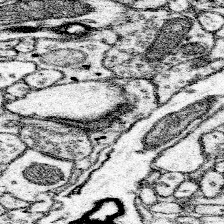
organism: Mouse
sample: Somatosensory cortex neuropil